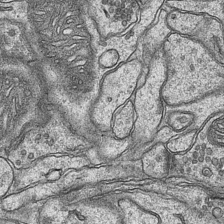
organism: Mouse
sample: CA1 Hippocampus